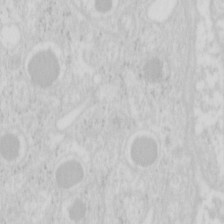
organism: Mouse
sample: Pancreas